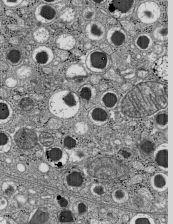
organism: C57BL Mouse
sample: Pancreatic islet